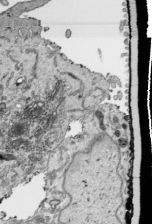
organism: Human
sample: Mitochondria in HCT116 cells